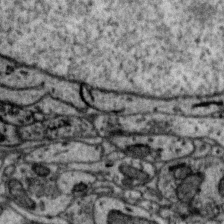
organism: Zebra finch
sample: Brain